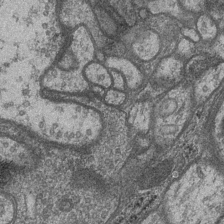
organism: Drosophila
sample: Optic medulla